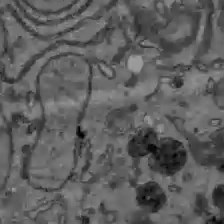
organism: C57BL Mouse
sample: Liver